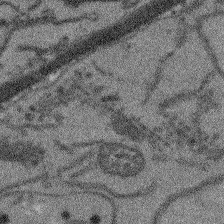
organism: Arabidopsis thaliana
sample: Root tip